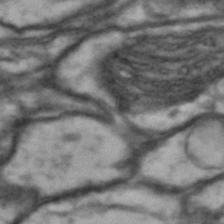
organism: Drosophila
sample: Brain